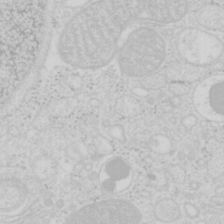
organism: Mouse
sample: Pancreas